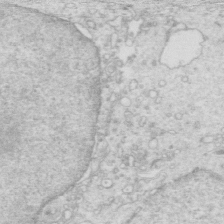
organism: Mouse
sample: Multiciliated cells